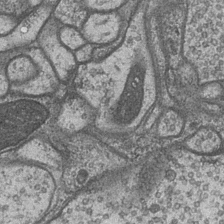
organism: Drosophila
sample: Optic medulla